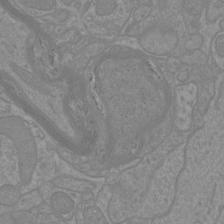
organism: Mouse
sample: Cortical neurons